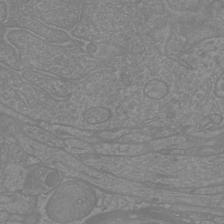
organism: Mouse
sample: Cortical neurons